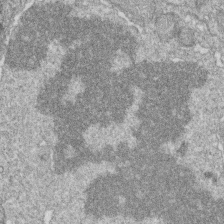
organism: Zebrafish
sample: Cilia; retinal pigment epithelium